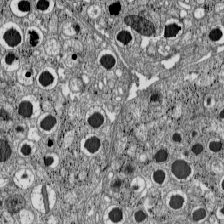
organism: C57BL Mouse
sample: Pancreatic islet